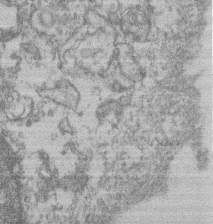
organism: Mouse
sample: T cell stromal cell synapse